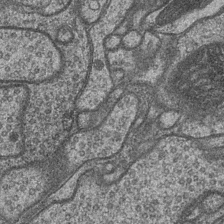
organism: Drosophila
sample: Optic medulla